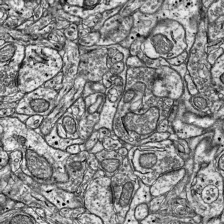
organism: Mouse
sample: Visual Cortex